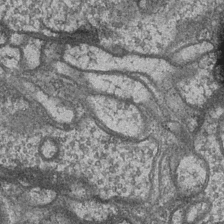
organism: Drosophila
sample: Optic medulla